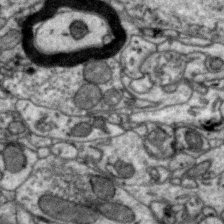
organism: Zebra finch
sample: Brain